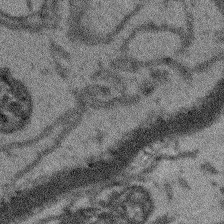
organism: Arabidopsis thaliana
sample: Root tip